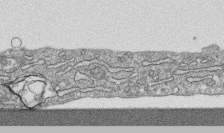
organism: Human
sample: CRL-1474